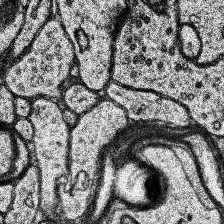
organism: Human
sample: Temporal Lobe